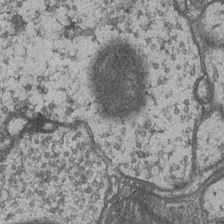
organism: Drosophila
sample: Optic medulla